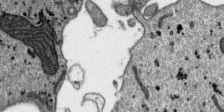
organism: Human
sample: Lung epithelial cells, uninfected (mock) control